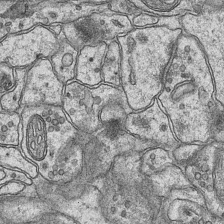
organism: Mouse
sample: CA1 Hippocampus